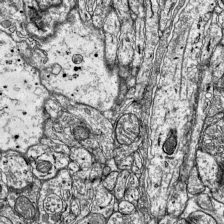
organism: Mouse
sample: Visual Cortex